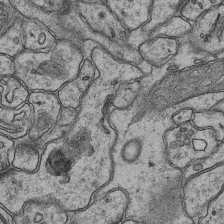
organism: Mouse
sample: CA1 Hippocampus